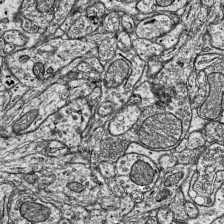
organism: Mouse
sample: Visual Cortex